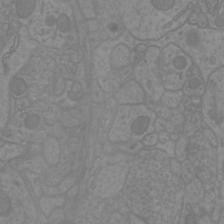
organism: Mouse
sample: Cortical neurons